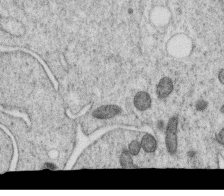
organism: C. elegans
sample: C. elegans oocyte; sperm cells